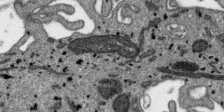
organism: Human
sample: Lung epithelial cells, uninfected (mock) control